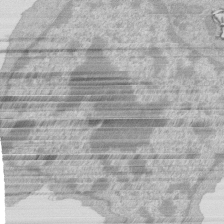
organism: Mouse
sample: Activated Pmel transgenic CD8+ T Cells